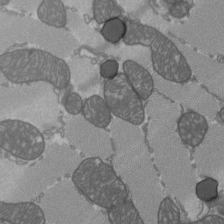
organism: C57BL Mouse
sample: Heart